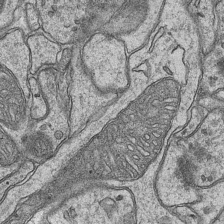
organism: Mouse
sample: CA1 Hippocampus